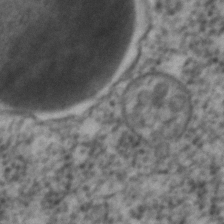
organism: C. elegans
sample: C. elegans embryo